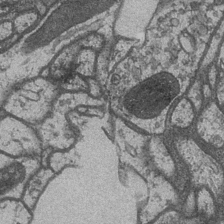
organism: Drosophila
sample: Optic medulla